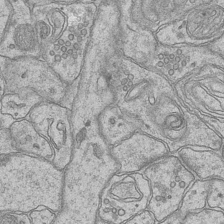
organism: Mouse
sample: CA1 Hippocampus